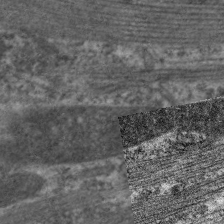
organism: C. elegans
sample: Pharynx